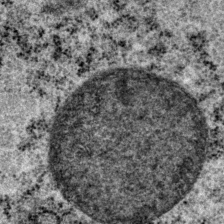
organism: P. pacificus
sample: Pharynx